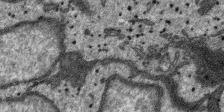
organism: Human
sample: Lung epithelial cells, uninfected (mock) control